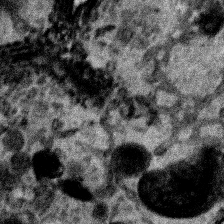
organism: Human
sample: Mitochondria in HCT116 cells